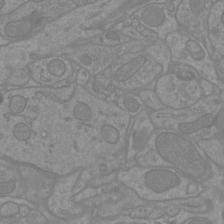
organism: Mouse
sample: Cortical neurons